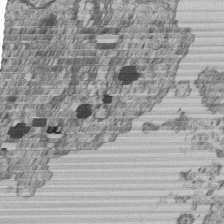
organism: Human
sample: MDA-MB-231 cells